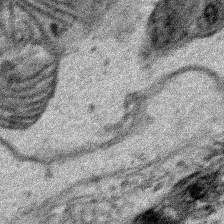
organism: Human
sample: Mitochondria in HCT116 cells